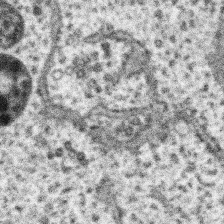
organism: Human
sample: HeLa cells